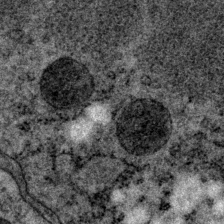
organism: P. pacificus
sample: Pharynx